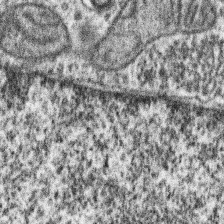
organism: Human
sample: HeLa cells